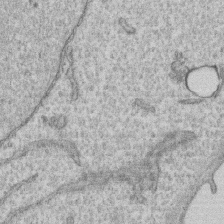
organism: Human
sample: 1205lu cells